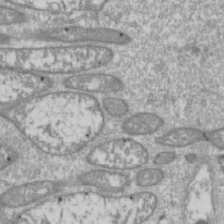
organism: Drosophila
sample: Cell division; meiosis; drosophila spermatocytes